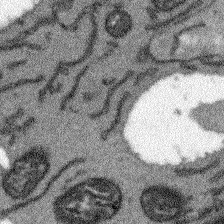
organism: Arabidopsis thaliana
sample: Root tip